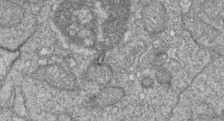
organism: Zebrafish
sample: Cilia; retinal pigment epithelium